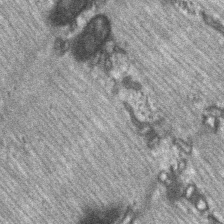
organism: C57BL Mouse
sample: Soleus